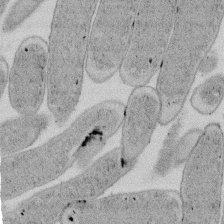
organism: E. coli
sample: Bacterial nucleoid